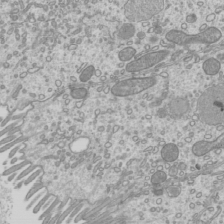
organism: Mouse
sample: Cilia; mouse epididymis